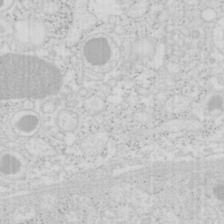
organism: Mouse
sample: Pancreas